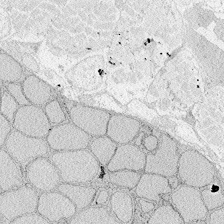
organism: Zebrafish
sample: Whole-Brain